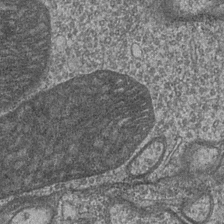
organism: Drosophila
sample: Optic medulla